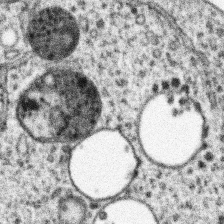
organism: Human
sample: HeLa cells